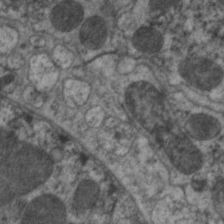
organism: C. elegans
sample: Pharynx